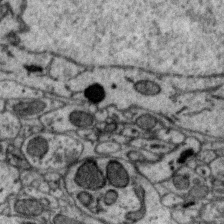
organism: Zebra finch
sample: Brain